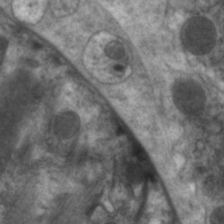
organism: C. elegans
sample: Pharynx